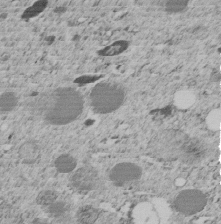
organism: C. elegans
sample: C. elegans embryo early stage